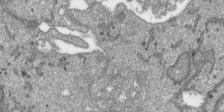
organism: Human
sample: Lung epithelial cells infected with SARS-CoV-2